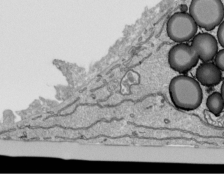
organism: Human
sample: Mitochondria in HCT116 cells